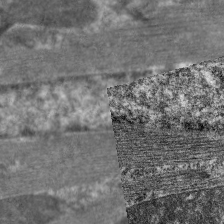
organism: C. elegans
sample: Pharynx